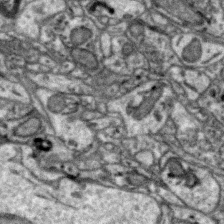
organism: Zebra finch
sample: Brain